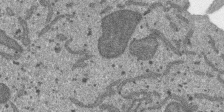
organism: Human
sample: Lung epithelial cells infected with SARS-CoV-2